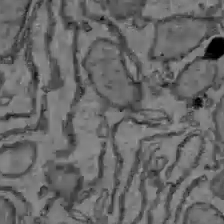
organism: C57BL Mouse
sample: Liver